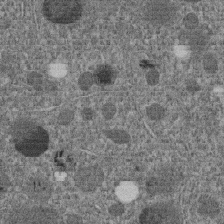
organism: C. elegans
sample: C. elegans embryo early stage